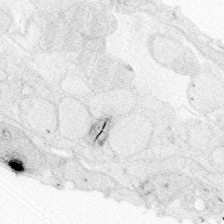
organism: Zebrafish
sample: Whole-Brain